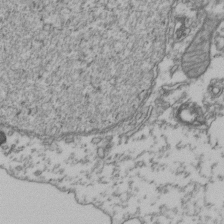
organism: Human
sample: Activated Jurkat CD4+ T cells